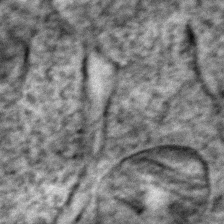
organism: Zebrafish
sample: Zebrafish embryo